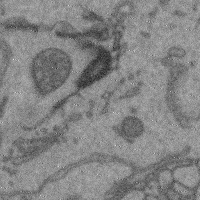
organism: Mouse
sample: Cerebral cortex